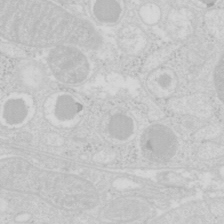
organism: Mouse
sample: Pancreas